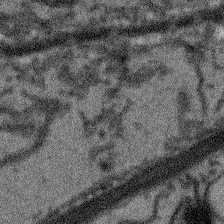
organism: Arabidopsis thaliana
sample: Root tip